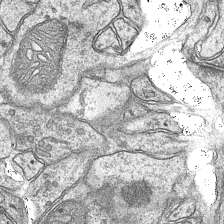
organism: Mouse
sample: CA1 Hippocampus